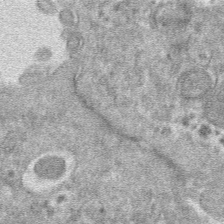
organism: Mouse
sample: Mouse hepatocytes